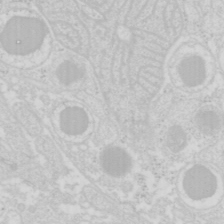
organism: Mouse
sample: Pancreas